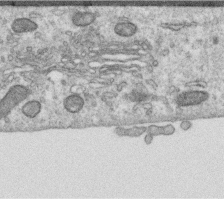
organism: Human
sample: Centriole in RPE cells